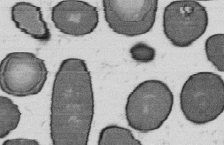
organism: B. subtilis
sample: Bacterial spore